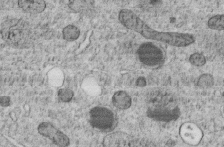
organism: C. elegans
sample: C. elegans embryo early stage